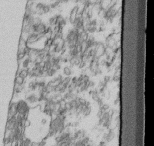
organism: Mouse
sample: Cilia; retinal pigment epithelium